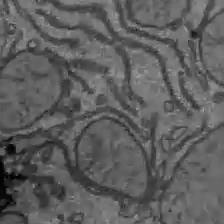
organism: C57BL Mouse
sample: Liver